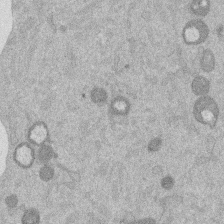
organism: Mouse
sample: Dividing mouse embryo 1 cell stage